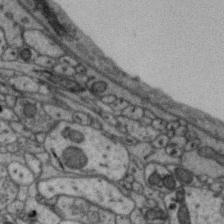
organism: Zebra finch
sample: Brain